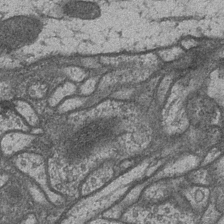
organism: Drosophila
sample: Optic medulla